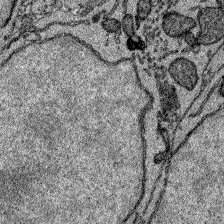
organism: Zebrafish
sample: Larval olfactory bulb